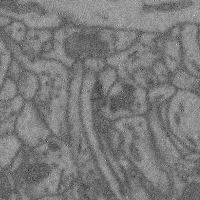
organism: Mouse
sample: Cerebral cortex